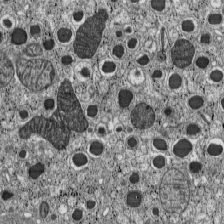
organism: C57BL Mouse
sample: Pancreatic islet